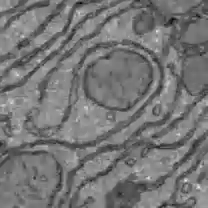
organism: C57BL Mouse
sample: Liver